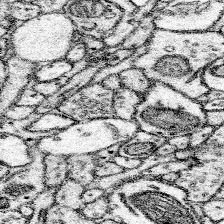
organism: Mouse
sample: Somatosensory cortex neuropil